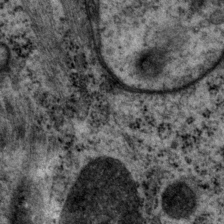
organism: P. pacificus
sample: Pharynx